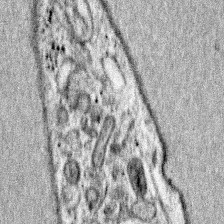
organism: Human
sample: HeLa cells